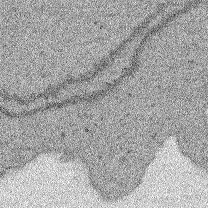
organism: Human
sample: HeLa cells